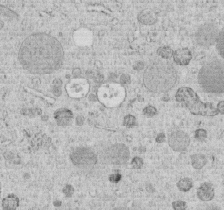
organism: C. elegans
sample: C. elegans embryo early stage